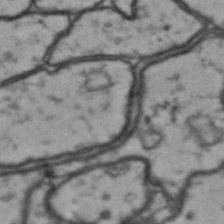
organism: Drosophila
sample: Brain